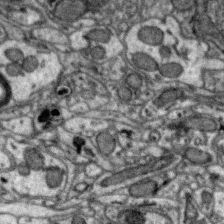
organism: Zebra finch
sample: Brain